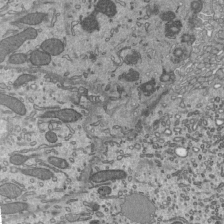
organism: Mouse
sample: Mouse epididymis efferent ductule cilia